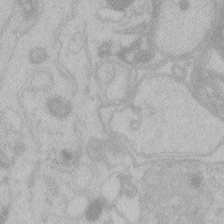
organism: Zebrafish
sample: Macrophage infected with Toxoplasma gondii